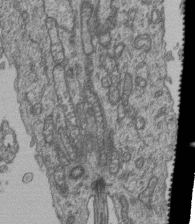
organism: Human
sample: Retinal organoid Rod and Cone cells